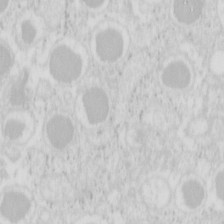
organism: Mouse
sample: Pancreas